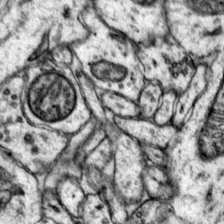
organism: Mouse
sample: Primary visual cortex